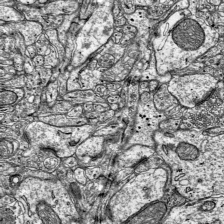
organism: Mouse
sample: Visual Cortex